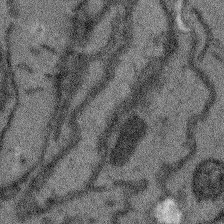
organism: Arabidopsis thaliana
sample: Root tip